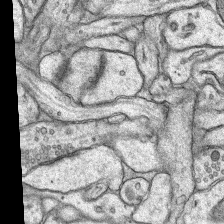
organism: Rat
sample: Hippocampus